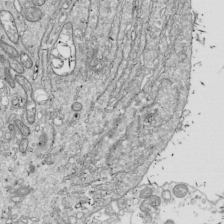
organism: Drosophila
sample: Cell division; meiosis; drosophila spermatocytes